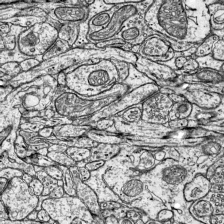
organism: Mouse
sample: Visual Cortex